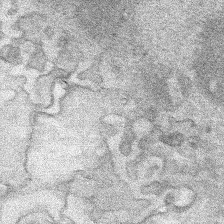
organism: Human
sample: Mitochondria in HCT116 cells